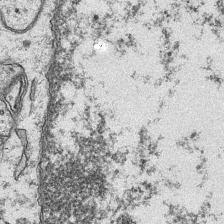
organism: Mouse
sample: CA1 Hippocampus